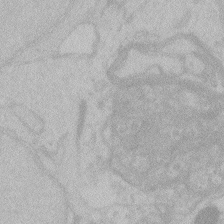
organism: Zebrafish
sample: Macrophage infected with Toxoplasma gondii